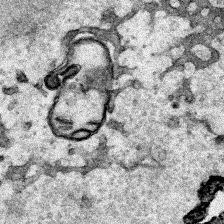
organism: Human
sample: Mitochondria in HCT116 cells